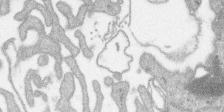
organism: Human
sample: Lung epithelial cells infected with SARS-CoV-2